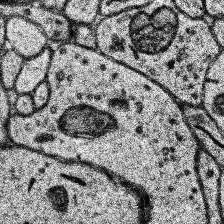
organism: Human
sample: Temporal Lobe